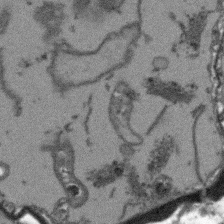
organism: Arabidopsis thaliana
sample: Root tip